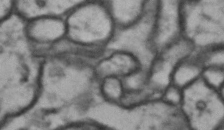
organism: Drosophila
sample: Brain